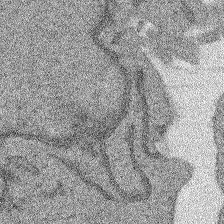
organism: Human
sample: HeLa cells